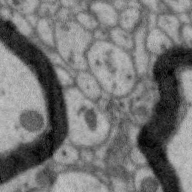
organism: Zebra finch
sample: Brain